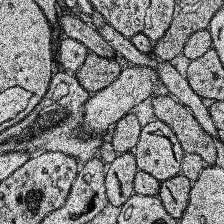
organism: Human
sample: Temporal Lobe